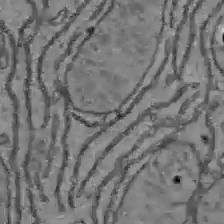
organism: C57BL Mouse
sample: Liver